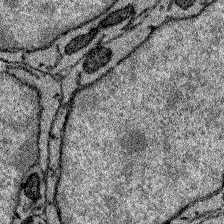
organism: Zebrafish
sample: Larval olfactory bulb